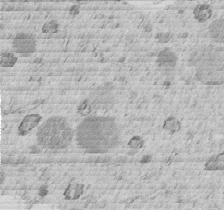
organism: C. elegans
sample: C. elegans embryo early stage